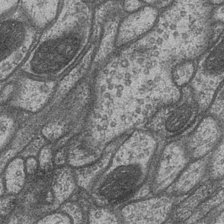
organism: Drosophila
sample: Optic medulla